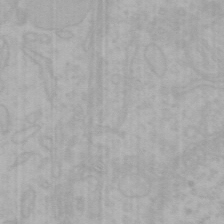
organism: Mouse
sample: Choroid plexus